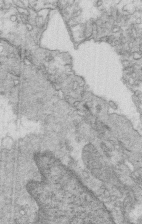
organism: Mouse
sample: Multiciliated cells